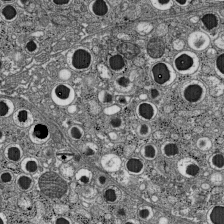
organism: C57BL Mouse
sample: Pancreatic islet